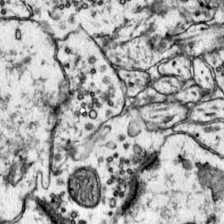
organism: Mouse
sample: Primary visual cortex